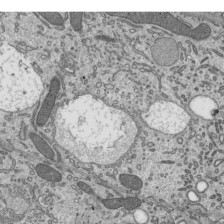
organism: Mouse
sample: Mouse epididymis efferent ductule cilia